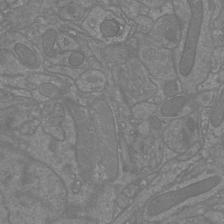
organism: Mouse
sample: Cortical neurons